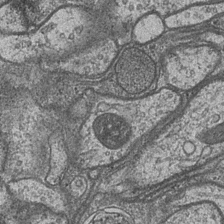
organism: Drosophila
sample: Optic medulla